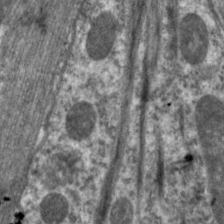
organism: C. elegans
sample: Pharynx